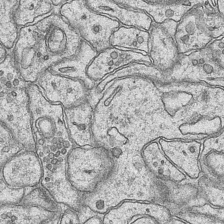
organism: Mouse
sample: CA1 Hippocampus